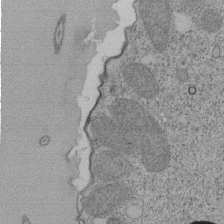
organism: Tetrahymena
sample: Cilia in tetrahymena